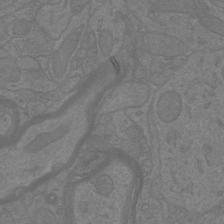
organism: Mouse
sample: Cortical neurons